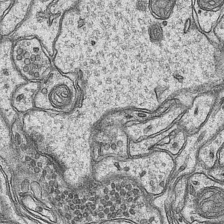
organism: Mouse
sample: CA1 Hippocampus